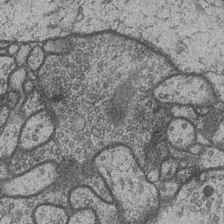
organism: Drosophila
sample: Optic medulla